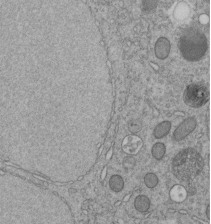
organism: C. elegans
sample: C. elegans embryo early stage